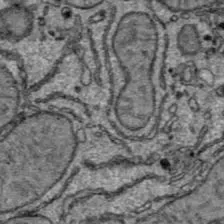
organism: C57BL Mouse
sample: Liver